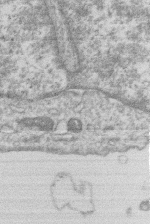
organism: Human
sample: Macrophage cells